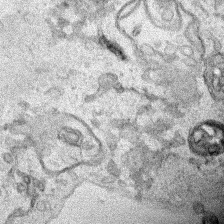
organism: Human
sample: Mitochondria in HCT116 cells